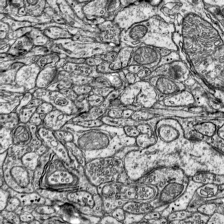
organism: Mouse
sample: Visual Cortex